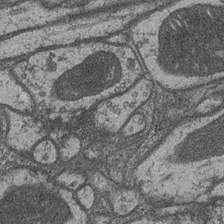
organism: Drosophila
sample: Optic medulla